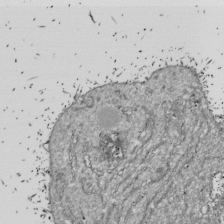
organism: Drosophila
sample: Cell division; meiosis; drosophila spermatocytes